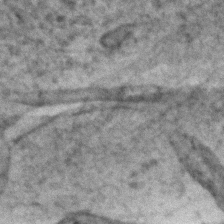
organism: Zebrafish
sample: Zebrafish embryo